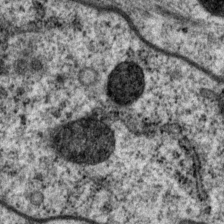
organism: P. pacificus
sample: Pharynx